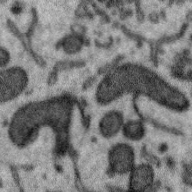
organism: Zebra finch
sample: Brain